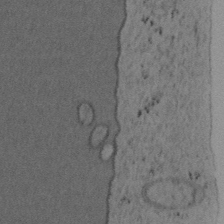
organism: Human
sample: HeLa cells